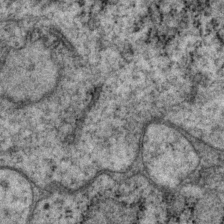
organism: P. pacificus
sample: Pharynx